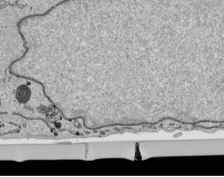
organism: Human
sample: Mitochondria in HCT116 cells